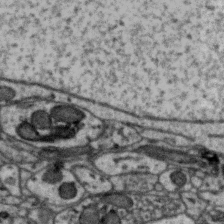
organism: Zebra finch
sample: Brain